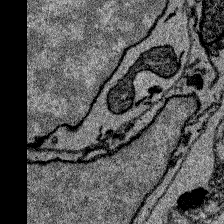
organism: Zebrafish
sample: Larval olfactory bulb